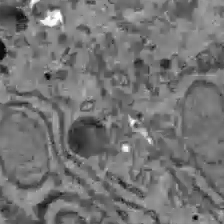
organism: C57BL Mouse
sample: Liver